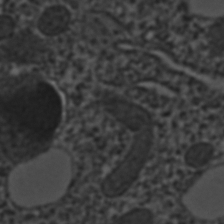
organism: C. elegans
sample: C. elegans embryo